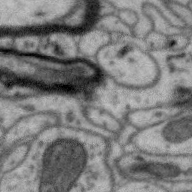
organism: Zebra finch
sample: Brain